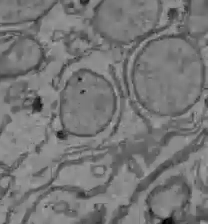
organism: C57BL Mouse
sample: Liver